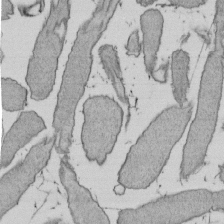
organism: E. coli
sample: Bacterial nucleoid